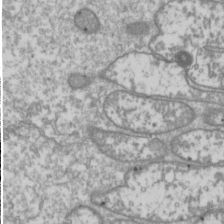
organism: Drosophila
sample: Cell division; meiosis; drosophila spermatocytes